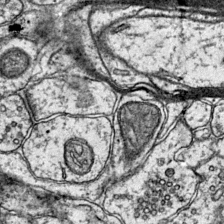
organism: Mouse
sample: Primary visual cortex